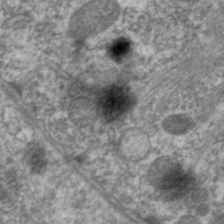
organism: C. elegans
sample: Pharynx